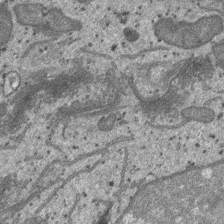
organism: Human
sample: Lung epithelial cells infected with SARS-CoV-2